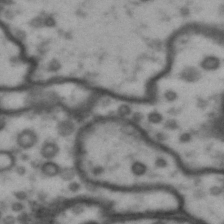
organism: Drosophila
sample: Brain